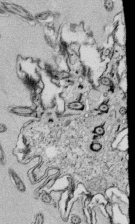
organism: Tetrahymena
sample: Cilia in tetrahymena